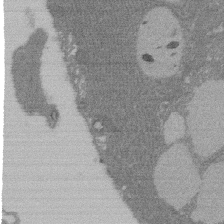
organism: Rat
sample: Salivary granule